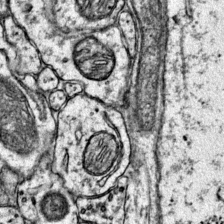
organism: Mouse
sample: Primary visual cortex